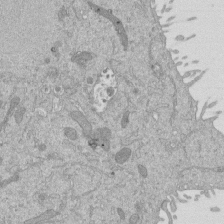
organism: Mouse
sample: ED-1 cell nuclei; centrioles